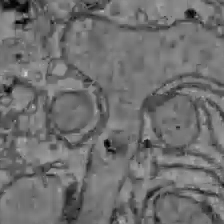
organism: C57BL Mouse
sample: Liver